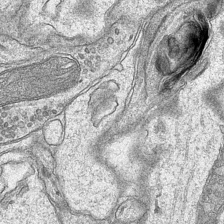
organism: Mouse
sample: CA1 Hippocampus